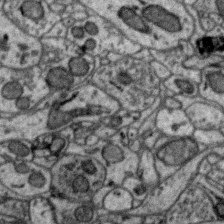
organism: Zebra finch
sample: Brain